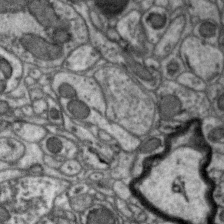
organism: Zebra finch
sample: Brain